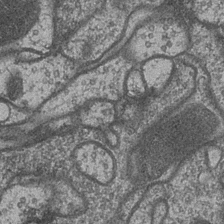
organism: Drosophila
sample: Optic medulla